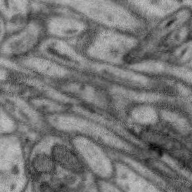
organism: Zebra finch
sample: Brain